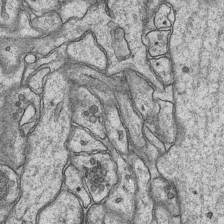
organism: Mouse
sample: CA1 Hippocampus